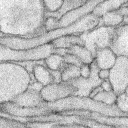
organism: Rabbit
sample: Retina